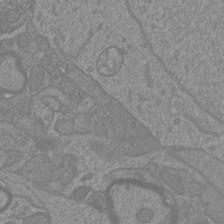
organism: Mouse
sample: Cortical neurons